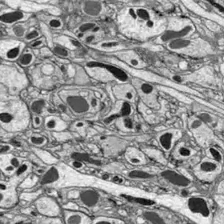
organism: Drosophila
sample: Optic lobe